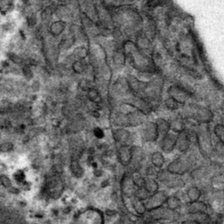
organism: Mouse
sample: Mouse hepatocytes